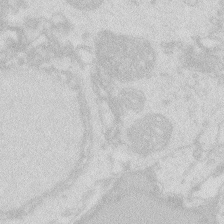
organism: Zebrafish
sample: Macrophage